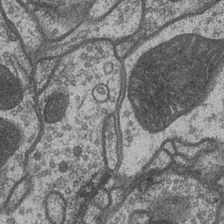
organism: Drosophila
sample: Optic medulla